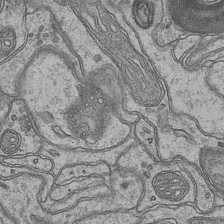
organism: Mouse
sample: CA1 Hippocampus